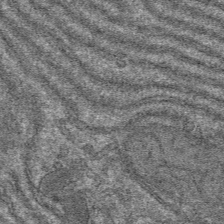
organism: Mouse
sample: Mouse hepatocytes